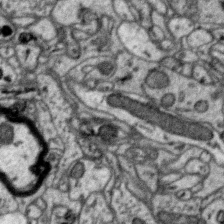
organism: Zebra finch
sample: Brain